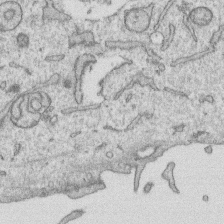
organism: Human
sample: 1205lu cells